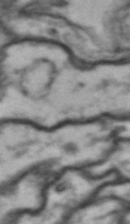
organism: Drosophila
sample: Brain